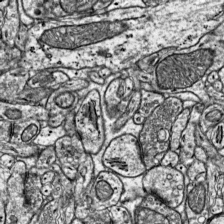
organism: Mouse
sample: Visual Cortex